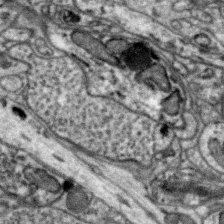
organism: Zebra finch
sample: Brain